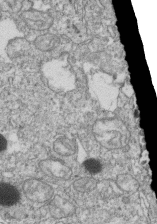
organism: Human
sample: HeLa cell HIV synapse